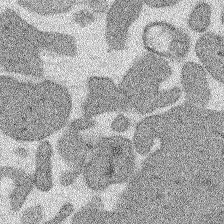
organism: Human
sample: HeLa cells